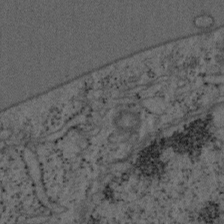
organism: Human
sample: HeLa cells